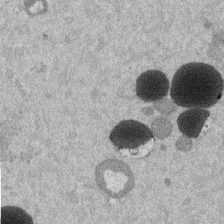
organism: Mouse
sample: Dividing mouse embryo 1 cell stage